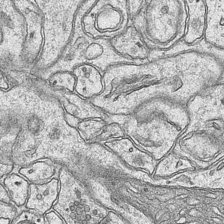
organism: Mouse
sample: CA1 Hippocampus